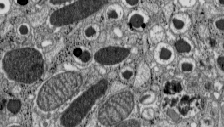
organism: C57BL Mouse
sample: Pancreatic islet